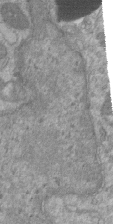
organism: Mouse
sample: ED-1 cell nuclei; centrioles